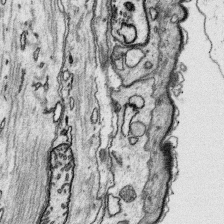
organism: Platynereis dumerilii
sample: Parapodia